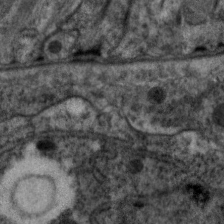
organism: C. elegans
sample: Pharynx